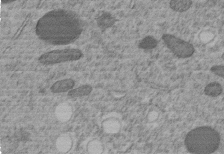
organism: C. elegans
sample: C. elegans embryo early stage